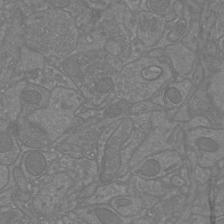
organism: Mouse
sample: Cortical neurons